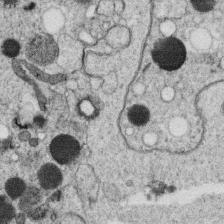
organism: C. elegans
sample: C. elegans oocyte; sperm cells